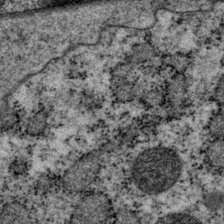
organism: P. pacificus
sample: Pharynx